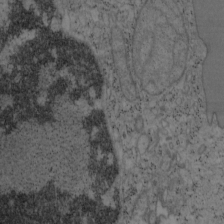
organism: Mouse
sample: OT-I killer T cells with ID8 ovarian cancer cells